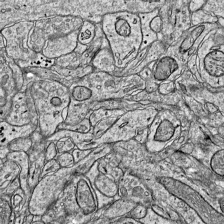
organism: Mouse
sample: Visual Cortex